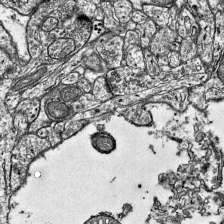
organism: Mouse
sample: Visual Cortex